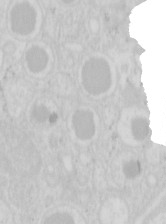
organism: Mouse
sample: Pancreas